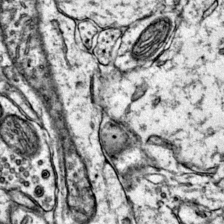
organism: Mouse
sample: Primary visual cortex